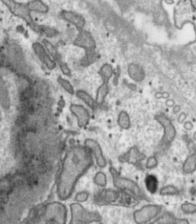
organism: Toxoplasma gondii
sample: Parasites in a vacuole inside a host cell